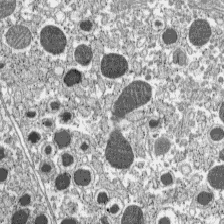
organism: C57BL Mouse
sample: Pancreatic islet